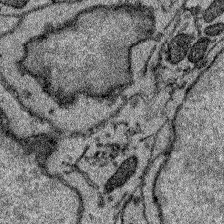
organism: Zebrafish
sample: Larval olfactory bulb